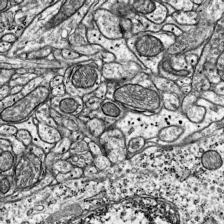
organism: Mouse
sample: Visual Cortex